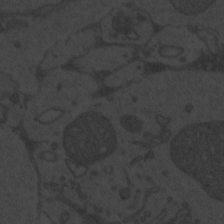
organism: Zebrafish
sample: Macrophage infected with Toxoplasma gondii